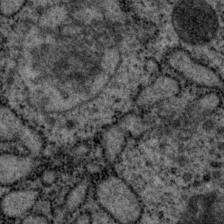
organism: P. pacificus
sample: Pharynx